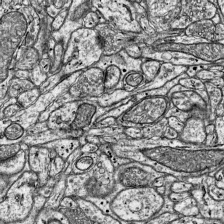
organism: Mouse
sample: Visual Cortex